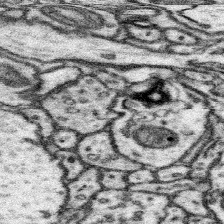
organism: Mouse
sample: Somatosensory cortex neuropil